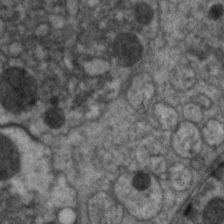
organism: C. elegans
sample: Pharynx